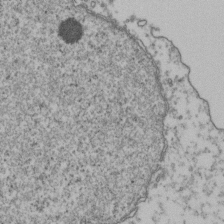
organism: Human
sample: Activated Jurkat CD4+ T cells